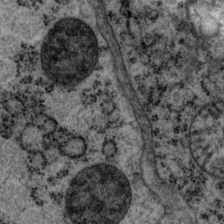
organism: P. pacificus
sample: Pharynx